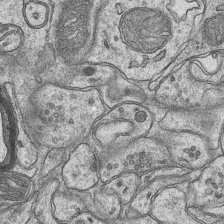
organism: Mouse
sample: CA1 Hippocampus